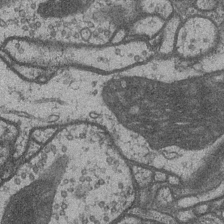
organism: Drosophila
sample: Optic medulla